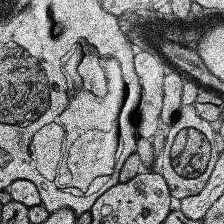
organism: Human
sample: Temporal Lobe